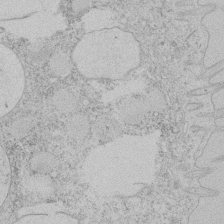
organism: Tetrahymena